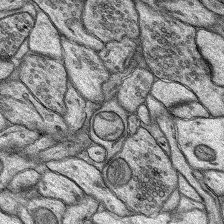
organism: Rat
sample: Hippocampus